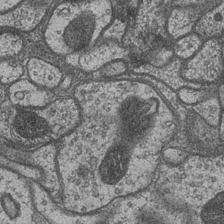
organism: Drosophila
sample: Optic medulla